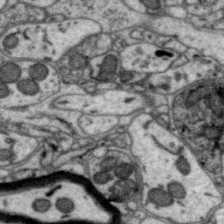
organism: Zebra finch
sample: Brain